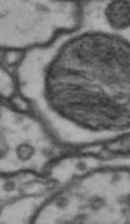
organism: Drosophila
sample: Brain